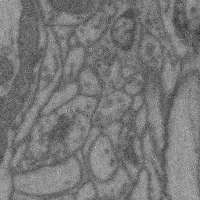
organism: Mouse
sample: Cerebral cortex